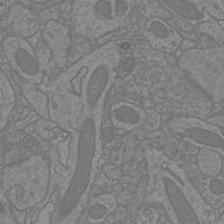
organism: Mouse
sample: Cortical neurons